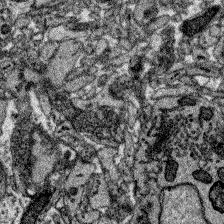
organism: Zebrafish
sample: Larval olfactory bulb